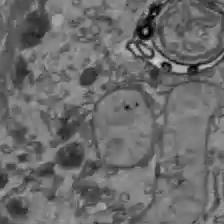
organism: C57BL Mouse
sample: Liver